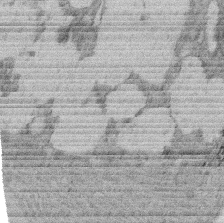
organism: Rat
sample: Salivary granule